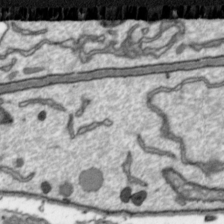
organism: Toxoplasma gondii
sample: Parasites in a vacuole inside a host cell